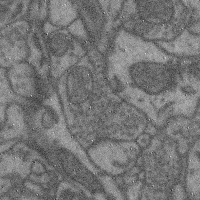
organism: Mouse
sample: Cerebral cortex